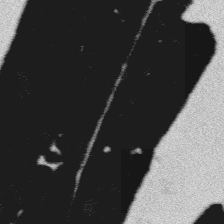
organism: Platynereis dumerilii